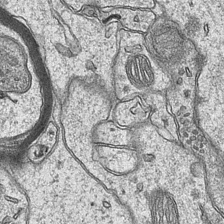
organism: Mouse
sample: CA1 Hippocampus